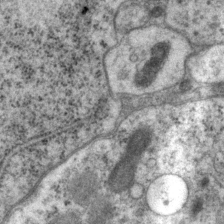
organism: P. pacificus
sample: Pharynx